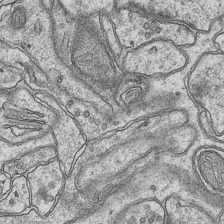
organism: Mouse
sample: CA1 Hippocampus